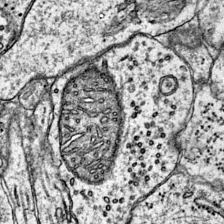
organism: Mouse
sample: Primary visual cortex